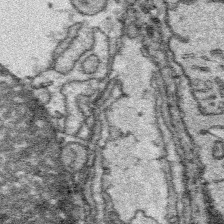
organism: Platynereis dumerilii